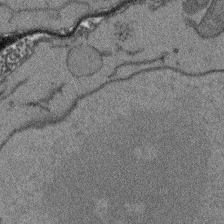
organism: Arabidopsis thaliana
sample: Root tip